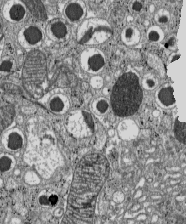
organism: C57BL Mouse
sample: Pancreatic islet